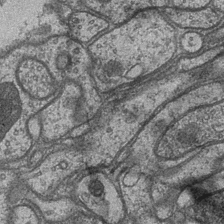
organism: Drosophila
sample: Optic medulla